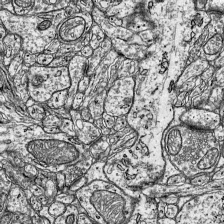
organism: Mouse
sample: Visual Cortex